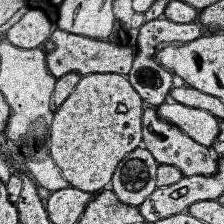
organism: Human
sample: Temporal Lobe